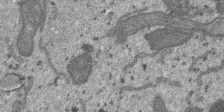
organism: Human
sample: Lung epithelial cells infected with SARS-CoV-2